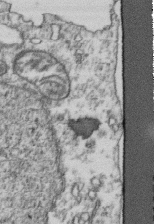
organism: Human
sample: Activated Jurkat CD4+ T cells